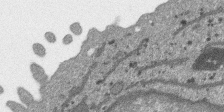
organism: Human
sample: Lung epithelial cells infected with SARS-CoV-2